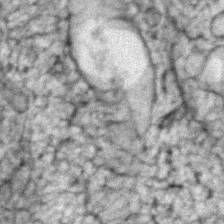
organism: Zebrafish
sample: Zebrafish embryo